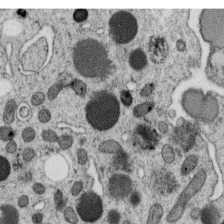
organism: C. elegans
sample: C. elegans oocyte; sperm cells